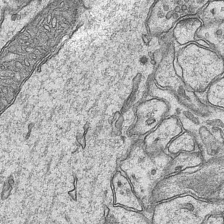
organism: Mouse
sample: CA1 Hippocampus